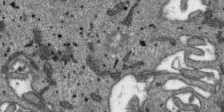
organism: Human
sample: Lung epithelial cells, uninfected (mock) control